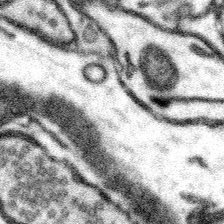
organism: Mouse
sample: Somatosensory cortex neuropil